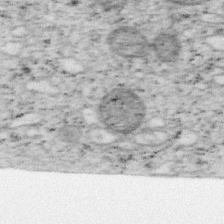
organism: Mouse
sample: OT-I killer T cells with ID8 ovarian cancer cells